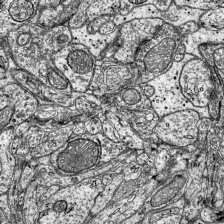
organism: Mouse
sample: Visual Cortex